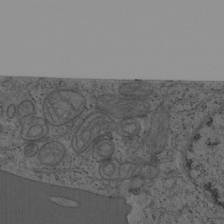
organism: Human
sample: HeLa cells